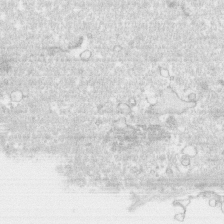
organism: Human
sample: CRL-1474